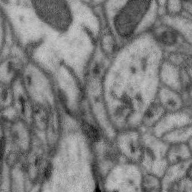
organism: Zebra finch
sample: Brain